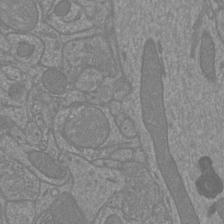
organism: Mouse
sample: Cortical neurons